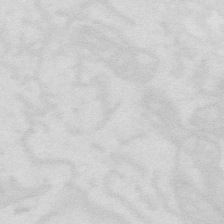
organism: Human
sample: HeLa cells